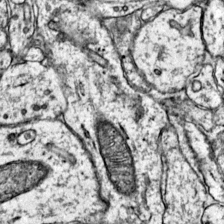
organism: Mouse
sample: Primary visual cortex